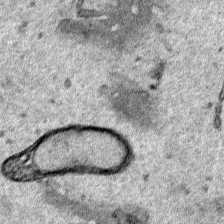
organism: Human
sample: Mitochondria in HCT116 cells